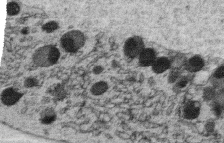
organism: C. elegans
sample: C. elegans oocyte; sperm cells